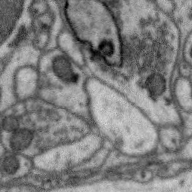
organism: Zebra finch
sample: Brain